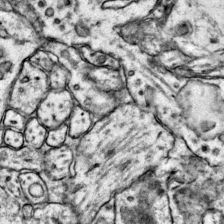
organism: Mouse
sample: Primary visual cortex